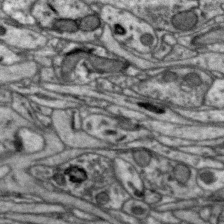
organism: Zebra finch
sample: Brain